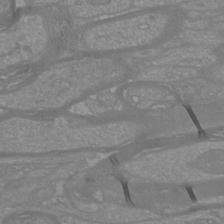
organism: Mouse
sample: Cortical neurons